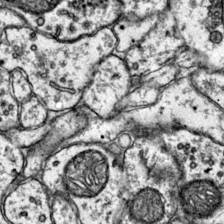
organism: Mouse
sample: Primary visual cortex